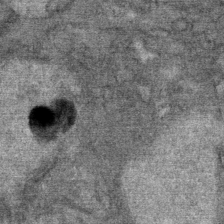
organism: Mouse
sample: Mouse Salivary gland